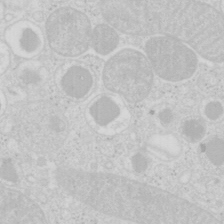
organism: Mouse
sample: Pancreas